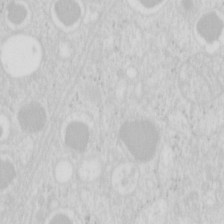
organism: Mouse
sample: Pancreas